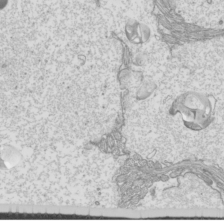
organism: Mouse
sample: Cilia; mouse epididymis